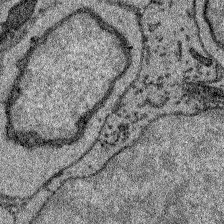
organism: Zebrafish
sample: Larval olfactory bulb